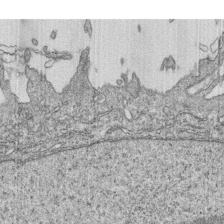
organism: Human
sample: HeLa cell HIV synapse